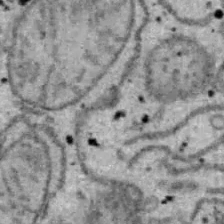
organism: Mouse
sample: Liver from an obese (ob/ob) mouse